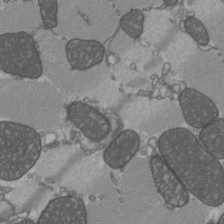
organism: C57BL Mouse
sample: Heart